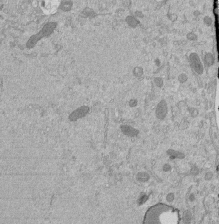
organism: Mouse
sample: ED-1 cell nuclei; centrioles